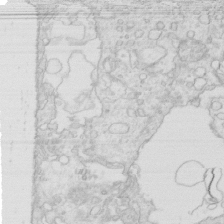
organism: Mouse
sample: Multiciliated cells